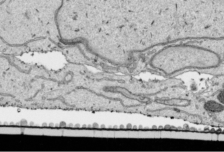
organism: Human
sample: Mitochondria in HCT116 cells